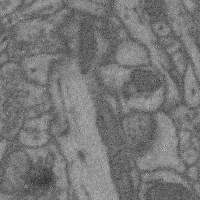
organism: Mouse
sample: Cerebral cortex